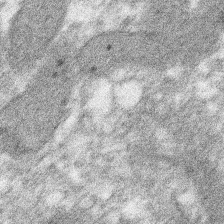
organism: Xenopus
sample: Cilia; centrioles in frog embryo cells